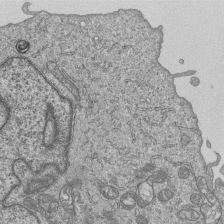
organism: Human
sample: MDA-MB-231 cells